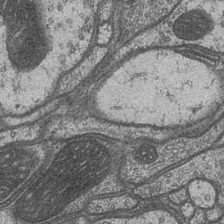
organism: Drosophila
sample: Optic medulla